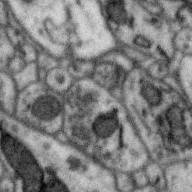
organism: Zebra finch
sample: Brain